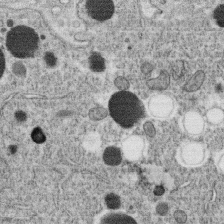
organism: C. elegans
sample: C. elegans oocyte; sperm cells